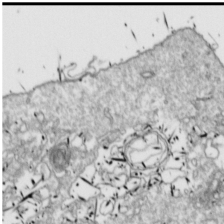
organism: Drosophila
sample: Cell division; meiosis; drosophila spermatocytes